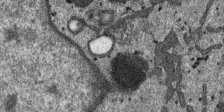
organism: Human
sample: Lung epithelial cells infected with SARS-CoV-2